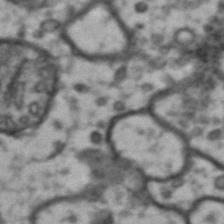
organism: Drosophila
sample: Brain